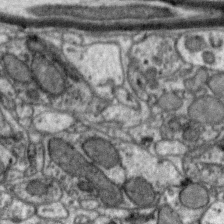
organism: Zebra finch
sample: Brain